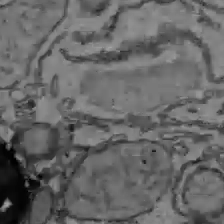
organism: C57BL Mouse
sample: Liver